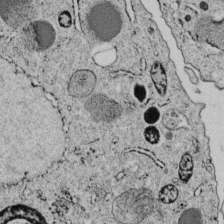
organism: C. elegans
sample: C. elegans embryo early stage